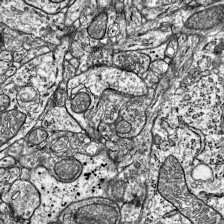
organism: Mouse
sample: Visual Cortex